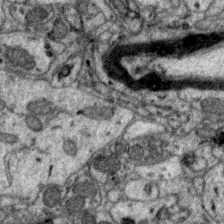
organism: Zebra finch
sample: Brain